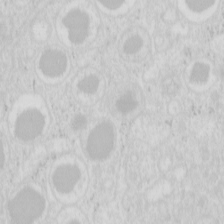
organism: Mouse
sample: Pancreas